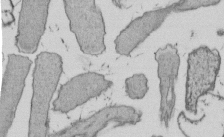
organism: E. coli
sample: Bacterial nucleoid